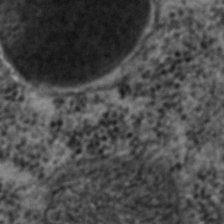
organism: C. elegans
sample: C. elegans embryo